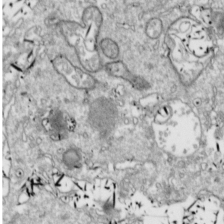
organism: Drosophila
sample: Cell division; meiosis; drosophila spermatocytes